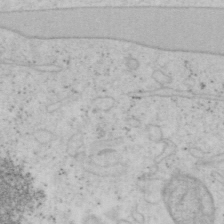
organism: Human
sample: HeLa cells